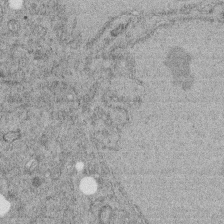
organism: C. elegans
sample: C. elegans embryo early stage